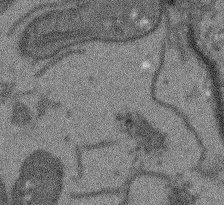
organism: Arabidopsis thaliana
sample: Root tip